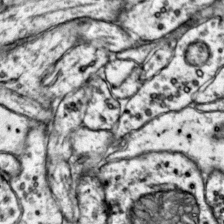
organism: Mouse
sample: Primary visual cortex